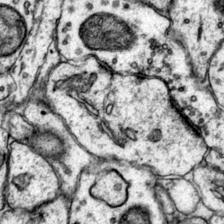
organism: Mouse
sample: Primary visual cortex